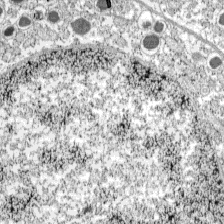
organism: C57BL Mouse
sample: Pancreatic islet